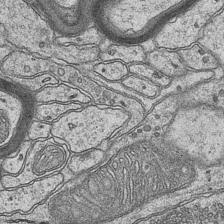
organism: Mouse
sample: CA1 Hippocampus